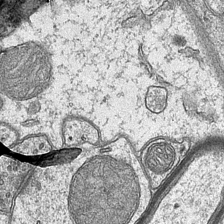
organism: Mouse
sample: CA1 Hippocampus